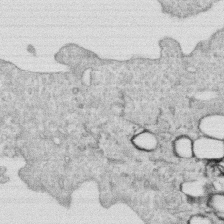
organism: Human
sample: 1205lu cells